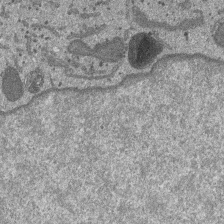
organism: Human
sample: Lung epithelial cells infected with SARS-CoV-2